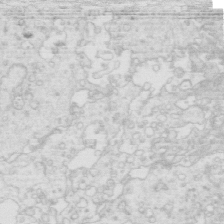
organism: Mouse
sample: Multiciliated cells